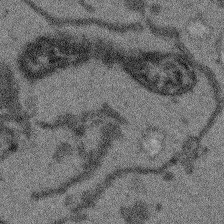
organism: Arabidopsis thaliana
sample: Root tip